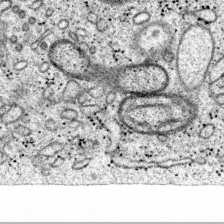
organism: Human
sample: HeLa cells